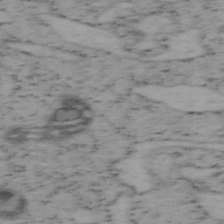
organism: Mouse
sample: OT-I killer T cells with ID8 ovarian cancer cells